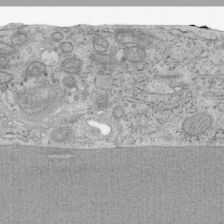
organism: Human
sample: HeLa cells